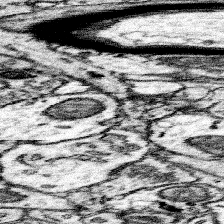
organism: Mouse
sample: Somatosensory cortex neuropil